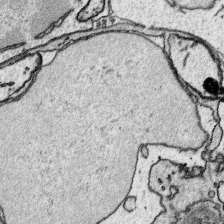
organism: Platynereis dumerilii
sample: Parapodia